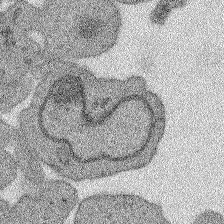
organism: Human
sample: HeLa cells